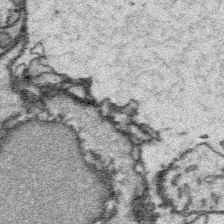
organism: Platynereis dumerilii